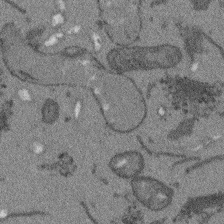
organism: Arabidopsis thaliana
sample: Root tip